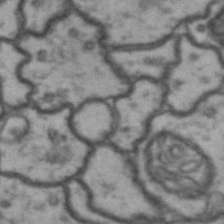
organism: Drosophila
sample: Brain